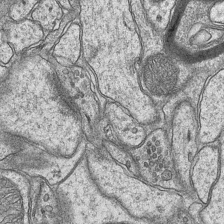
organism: Mouse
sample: CA1 Hippocampus